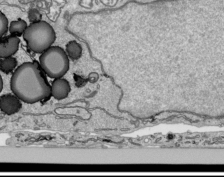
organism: Human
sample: Mitochondria in HCT116 cells